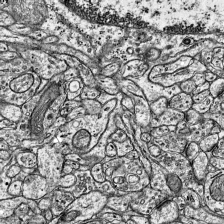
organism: Mouse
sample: Visual Cortex